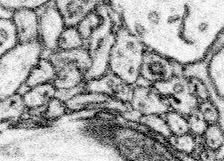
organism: Mouse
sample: Somatosensory cortex neuropil